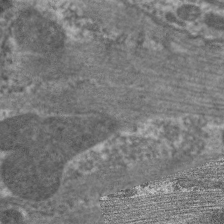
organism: C. elegans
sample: Pharynx